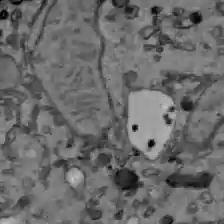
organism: C57BL Mouse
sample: Liver